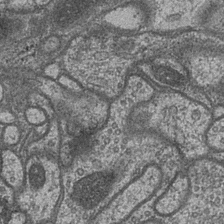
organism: Drosophila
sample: Optic medulla